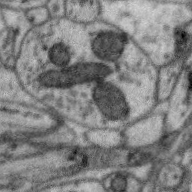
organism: Zebra finch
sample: Brain